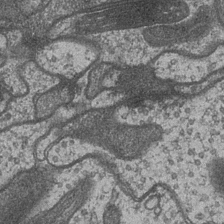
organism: Drosophila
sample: Optic medulla